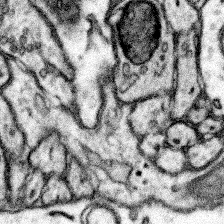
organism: Mouse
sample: Somatosensory cortex neuropil